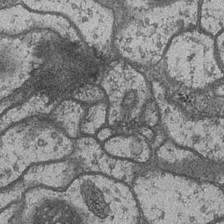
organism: Drosophila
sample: Optic medulla